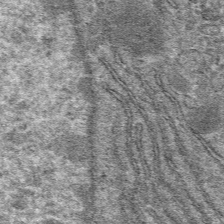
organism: Mouse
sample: Mouse hepatocytes